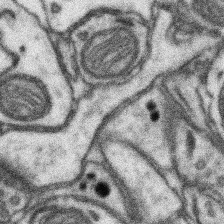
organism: Mouse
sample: Somatosensory cortex neuropil